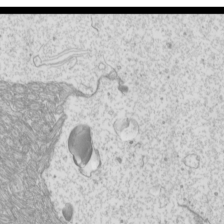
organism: Mouse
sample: Cilia; mouse epididymis